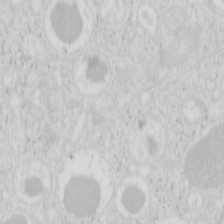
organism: Mouse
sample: Pancreas